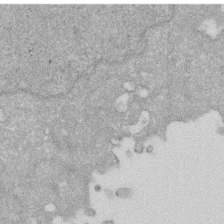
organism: Human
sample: HIV infected U937 cells